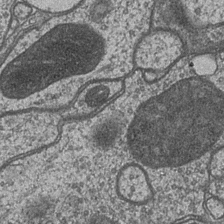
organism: Drosophila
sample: Optic medulla